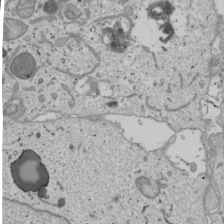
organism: Human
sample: Mitochondria in U2OS cells